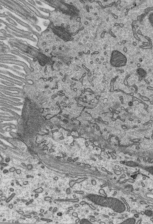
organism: Mouse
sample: Mouse epididymis efferent ductule cilia